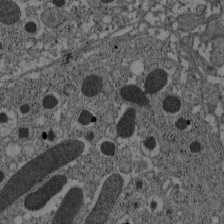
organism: C57BL Mouse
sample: Pancreatic islet